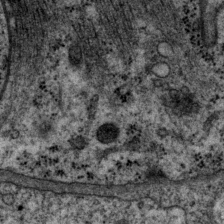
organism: P. pacificus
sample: Pharynx